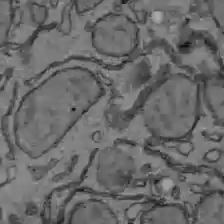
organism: C57BL Mouse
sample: Liver